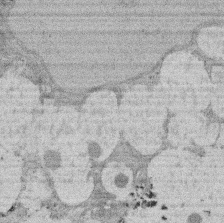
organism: Rat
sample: Salivary granule